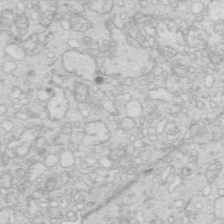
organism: Mouse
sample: Multiciliated cells